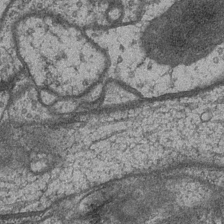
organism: Drosophila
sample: Optic medulla